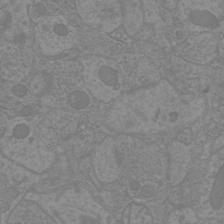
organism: Mouse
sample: Cortical neurons